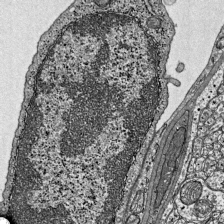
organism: Mouse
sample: Visual Cortex